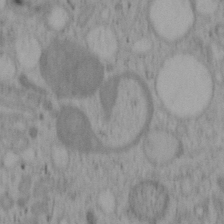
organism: Mouse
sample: OT-I killer T cells with ID8 ovarian cancer cells